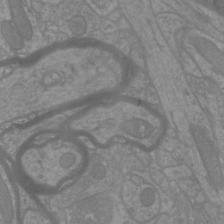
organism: Mouse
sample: Cortical neurons